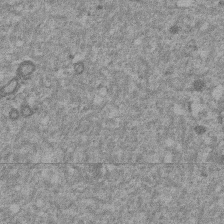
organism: Mouse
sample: Dividing mouse embryo 1 cell stage